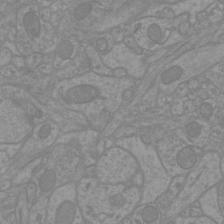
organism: Mouse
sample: Cortical neurons